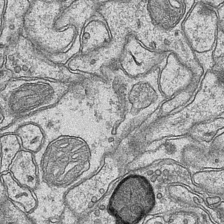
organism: Mouse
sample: CA1 Hippocampus